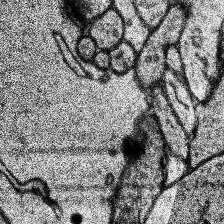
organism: Human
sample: Temporal Lobe